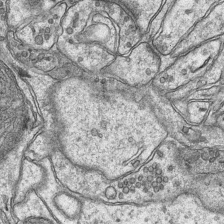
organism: Mouse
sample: CA1 Hippocampus